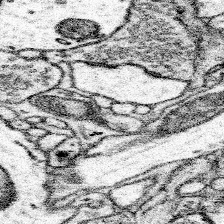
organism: Mouse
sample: Somatosensory cortex neuropil